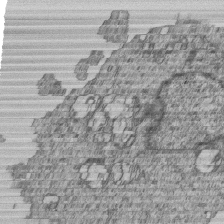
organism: Human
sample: MDA-MB-231 cells